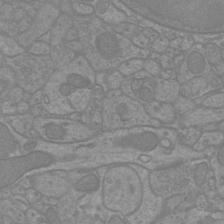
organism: Mouse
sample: Cortical neurons